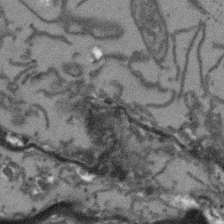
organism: Arabidopsis thaliana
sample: Root tip